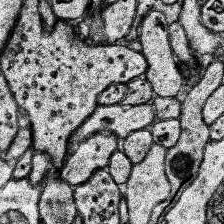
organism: Human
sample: Temporal Lobe